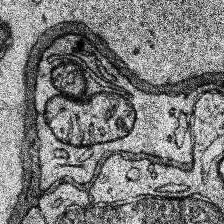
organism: Human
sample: Temporal Lobe